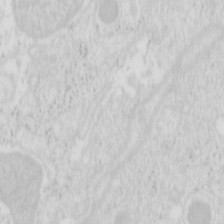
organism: Mouse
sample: Pancreas